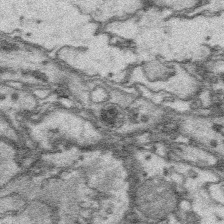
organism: Platynereis dumerilii